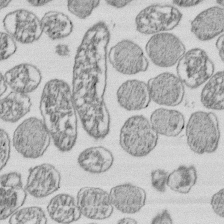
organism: E. coli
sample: Bacterial nucleoid